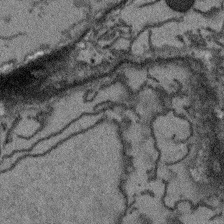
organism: Arabidopsis thaliana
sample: Root tip